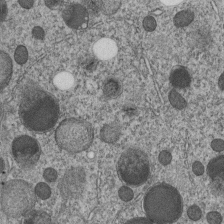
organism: C. elegans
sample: C. elegans embryo early stage